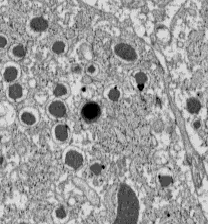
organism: C57BL Mouse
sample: Pancreatic islet